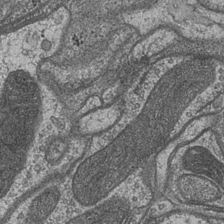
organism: Drosophila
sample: Optic medulla